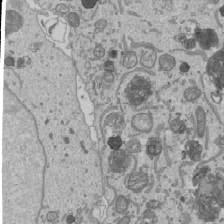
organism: Human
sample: Mitochondria in U2OS cells